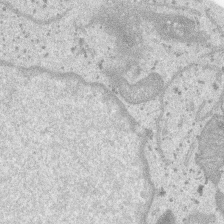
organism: Human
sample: Lung epithelial cells infected with SARS-CoV-2